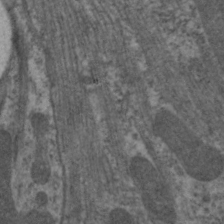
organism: C. elegans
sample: Pharynx